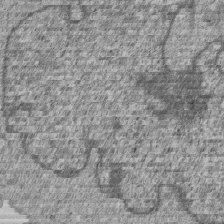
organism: Human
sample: MDA-MB-231 cells